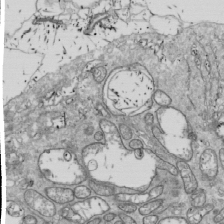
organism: Drosophila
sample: Cell division; meiosis; drosophila spermatocytes